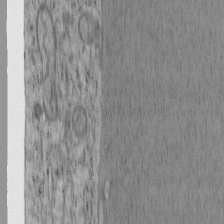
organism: Human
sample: HeLa cells